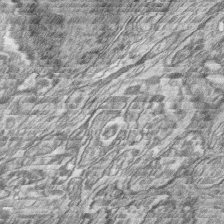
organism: Zebrafish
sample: synaptic ribbons in rod cells and cone cells